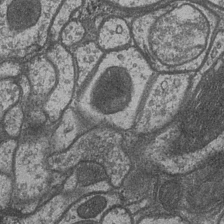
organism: Drosophila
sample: Optic medulla